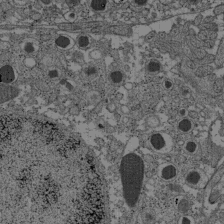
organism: C57BL Mouse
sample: Pancreatic islet